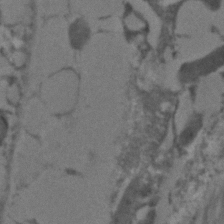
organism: C. elegans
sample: C. elegans embryo